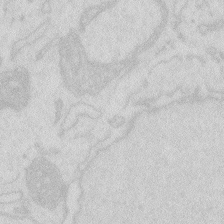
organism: Zebrafish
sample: Macrophage